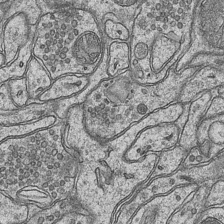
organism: Mouse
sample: CA1 Hippocampus